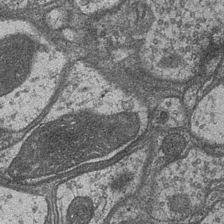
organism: Drosophila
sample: Optic medulla